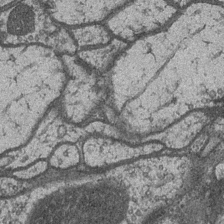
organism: Drosophila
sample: Optic medulla